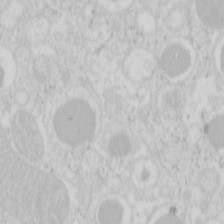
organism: Mouse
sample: Pancreas